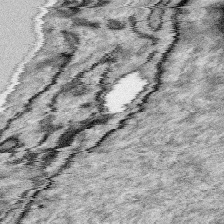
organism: Human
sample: HeLa cells